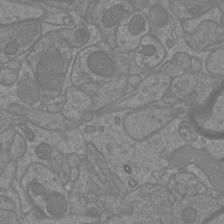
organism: Mouse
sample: Cortical neurons